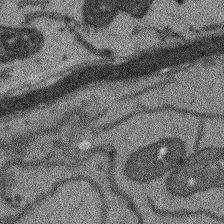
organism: Arabidopsis thaliana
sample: Root tip